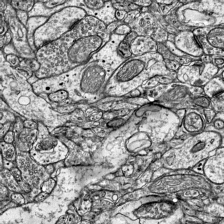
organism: Mouse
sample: Visual Cortex